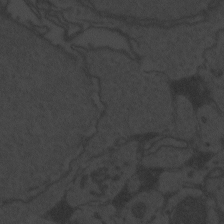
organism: Zebrafish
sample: Macrophage infected with Toxoplasma gondii